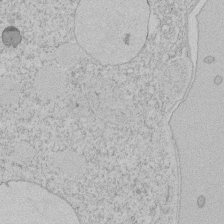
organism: Tetrahymena